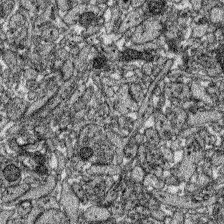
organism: Zebrafish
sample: Larval olfactory bulb